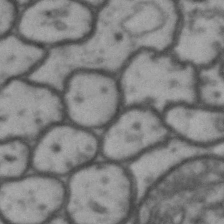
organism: Drosophila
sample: Brain